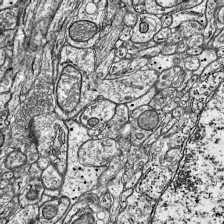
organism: Mouse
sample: Visual Cortex